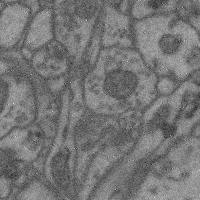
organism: Mouse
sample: Cerebral cortex